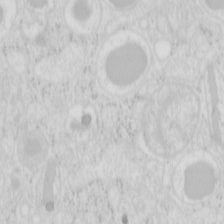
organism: Mouse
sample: Pancreas